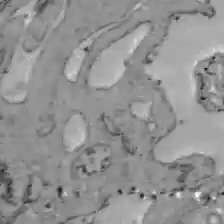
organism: C57BL Mouse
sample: Liver